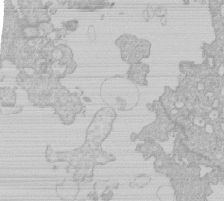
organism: Human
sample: Macrophage cells